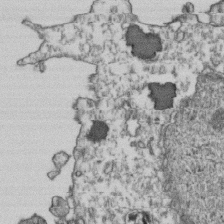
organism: Human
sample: Activated Jurkat CD4+ T cells